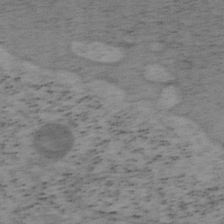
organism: Mouse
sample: OT-I killer T cells with ID8 ovarian cancer cells